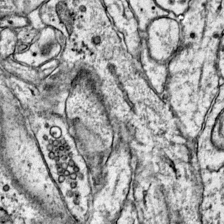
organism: Mouse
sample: Primary visual cortex